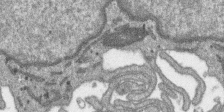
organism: Human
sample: Lung epithelial cells infected with SARS-CoV-2